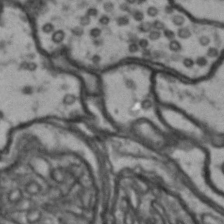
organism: Drosophila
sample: Brain